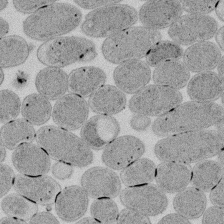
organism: E. coli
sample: Bacterial nucleoid